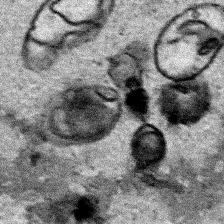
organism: Human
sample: Mitochondria in HCT116 cells